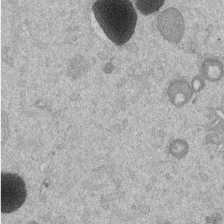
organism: Mouse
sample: Dividing mouse embryo 1 cell stage